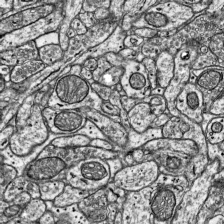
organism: Mouse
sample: Visual Cortex